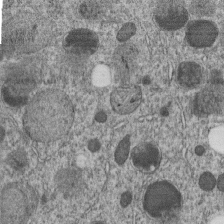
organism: C. elegans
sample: C. elegans embryo early stage